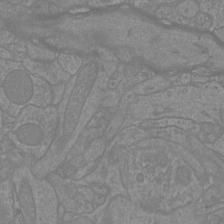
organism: Mouse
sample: Cortical neurons